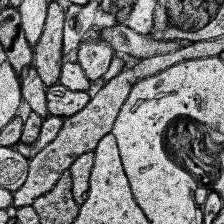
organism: Human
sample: Temporal Lobe